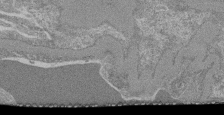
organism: Mouse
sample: Glomerulus